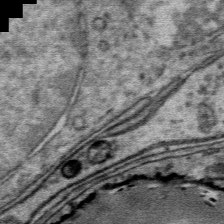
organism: Mouse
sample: Mouse Salivary gland